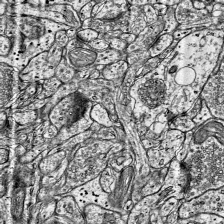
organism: Mouse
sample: Visual Cortex